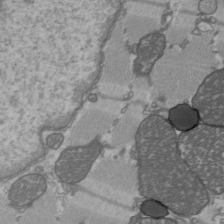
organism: C57BL Mouse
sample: Heart